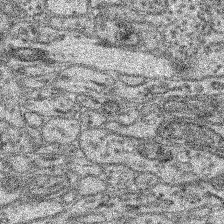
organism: Mouse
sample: Retina